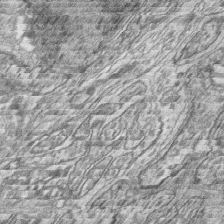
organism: Zebrafish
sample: synaptic ribbons in rod cells and cone cells